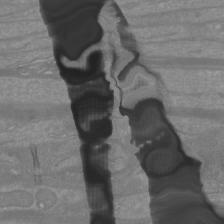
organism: Mouse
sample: Cortical neurons